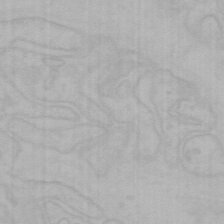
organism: Mouse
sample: Choroid plexus